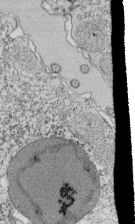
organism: Tetrahymena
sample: Cilia in tetrahymena